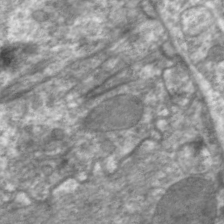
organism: C. elegans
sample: Pharynx